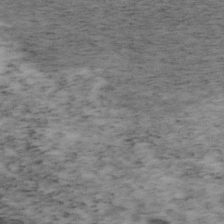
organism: Mouse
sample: OT-I killer T cells with ID8 ovarian cancer cells